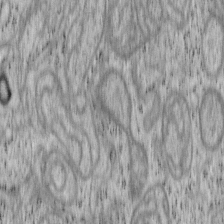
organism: Human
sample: HeLa cells